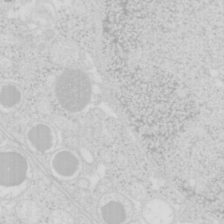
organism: Mouse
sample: Pancreas